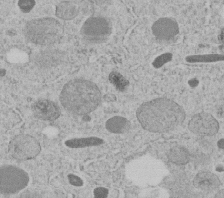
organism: C. elegans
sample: C. elegans embryo early stage